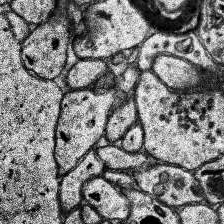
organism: Human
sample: Temporal Lobe